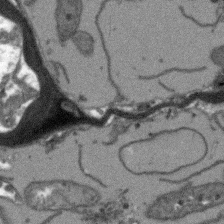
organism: Arabidopsis thaliana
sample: Root tip